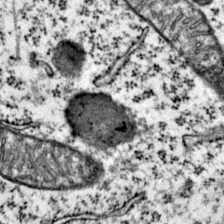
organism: Mouse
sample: Primary visual cortex